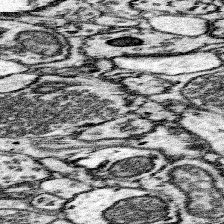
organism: Mouse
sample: Somatosensory cortex neuropil